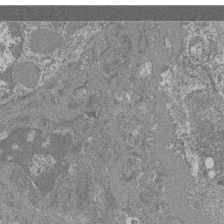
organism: Mouse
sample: Glomerulus